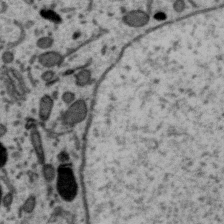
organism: Zebra finch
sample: Brain